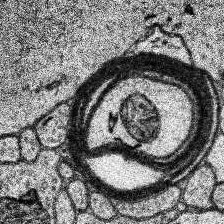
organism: Human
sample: Temporal Lobe